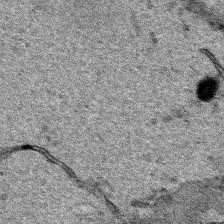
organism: Human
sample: Mitochondria in HCT116 cells